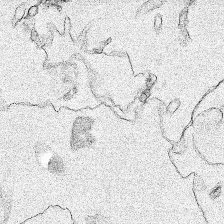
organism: Human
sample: Mitochondria in HCT116 cells